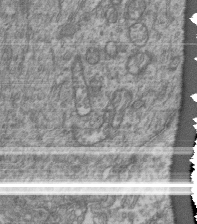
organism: Human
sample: Retinal organoid Rod and Cone cells